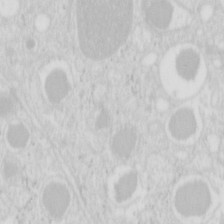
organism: Mouse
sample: Pancreas